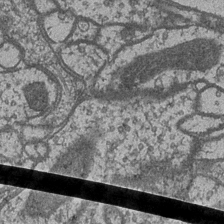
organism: Drosophila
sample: Optic medulla